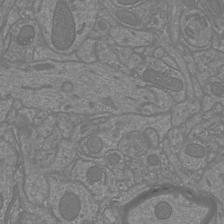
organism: Mouse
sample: Cortical neurons